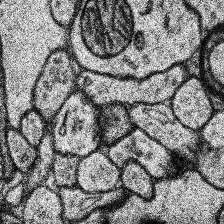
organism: Human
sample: Temporal Lobe